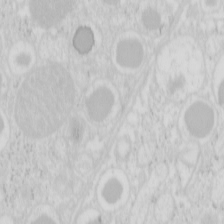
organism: Mouse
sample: Pancreas